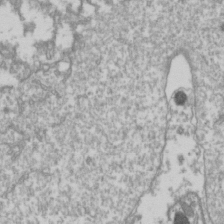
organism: Drosophila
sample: Cell division; meiosis; drosophila spermatocytes